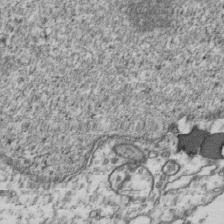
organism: Human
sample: Activated Jurkat CD4+ T cells